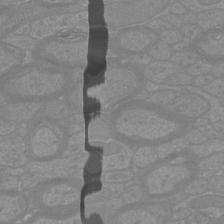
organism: Mouse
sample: Cortical neurons